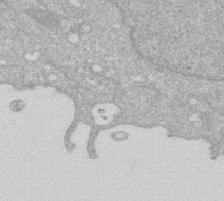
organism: Human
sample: HIV infected U937 cells